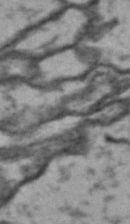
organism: Drosophila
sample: Brain